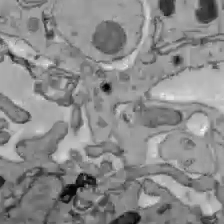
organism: C57BL Mouse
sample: Liver